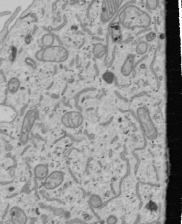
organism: Human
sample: Mitochondria in U2OS cells